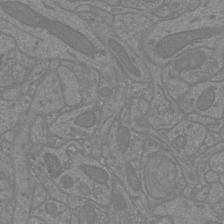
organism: Mouse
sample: Cortical neurons